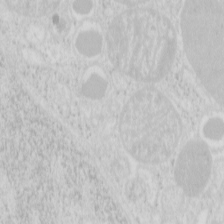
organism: Mouse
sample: Pancreas